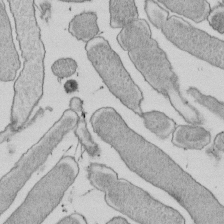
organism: E. coli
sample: Bacterial nucleoid